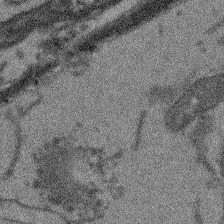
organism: Arabidopsis thaliana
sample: Root tip